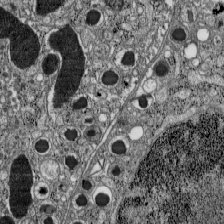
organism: C57BL Mouse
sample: Pancreatic islet